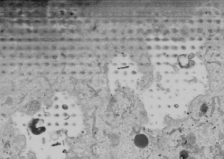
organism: Human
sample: Mitochondria in U2OS cells